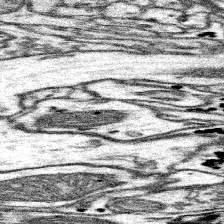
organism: Mouse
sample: Somatosensory cortex neuropil